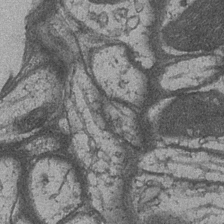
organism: Drosophila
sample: Optic medulla